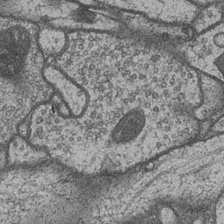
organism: Drosophila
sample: Optic medulla